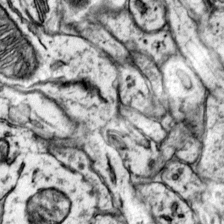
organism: Mouse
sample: Primary visual cortex